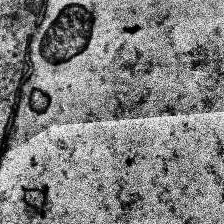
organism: Human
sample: Temporal Lobe